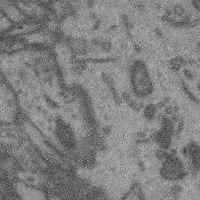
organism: Mouse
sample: Cerebral cortex